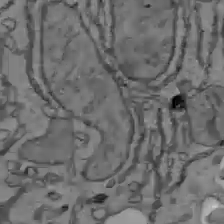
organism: C57BL Mouse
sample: Liver